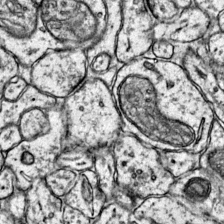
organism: Mouse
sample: Primary visual cortex